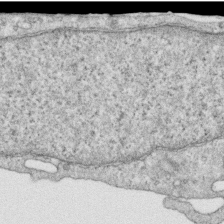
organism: Human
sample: Centriole in RPE cells